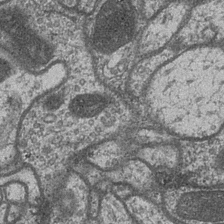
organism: Drosophila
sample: Optic medulla